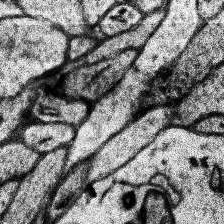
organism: Human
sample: Temporal Lobe